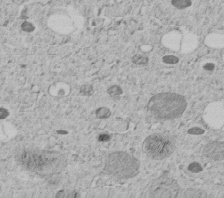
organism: C. elegans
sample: C. elegans embryo early stage